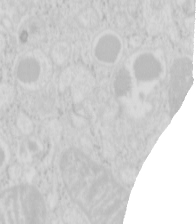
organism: Mouse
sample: Pancreas